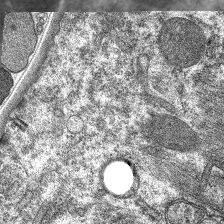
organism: C. elegans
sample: Pharynx